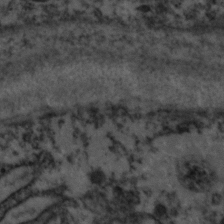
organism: Zebrafish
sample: Zebrafish embryo